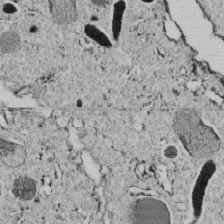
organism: C. elegans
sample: C. elegans embryo early stage